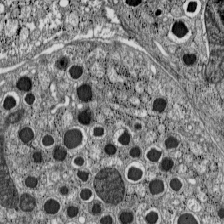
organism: C57BL Mouse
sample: Pancreatic islet